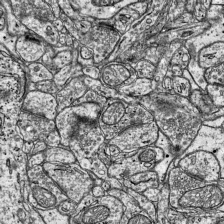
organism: Mouse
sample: Visual Cortex